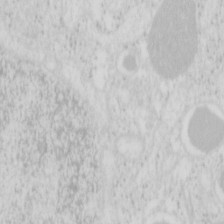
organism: Mouse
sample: Pancreas